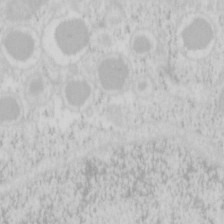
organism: Mouse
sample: Pancreas